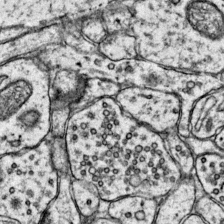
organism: Mouse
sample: Primary visual cortex